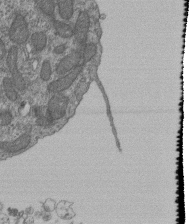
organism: Human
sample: Retinal organoid Rod and Cone cells